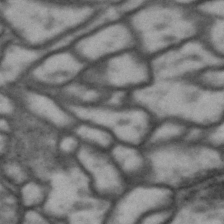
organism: Drosophila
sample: Brain